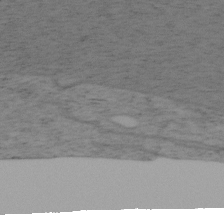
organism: Mouse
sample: OT-I killer T cells with ID8 ovarian cancer cells